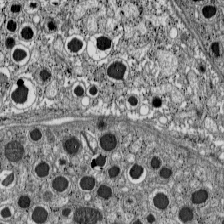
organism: C57BL Mouse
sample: Pancreatic islet